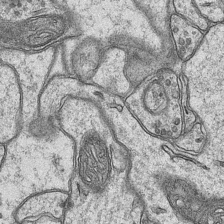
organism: Mouse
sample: CA1 Hippocampus